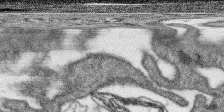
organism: Human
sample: Lung epithelial cells infected with SARS-CoV-2